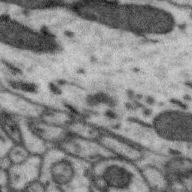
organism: Zebra finch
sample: Brain